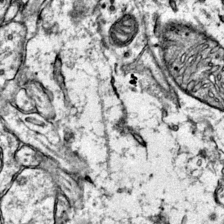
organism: Mouse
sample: Primary visual cortex